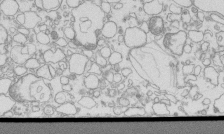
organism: Mouse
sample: Macrophages